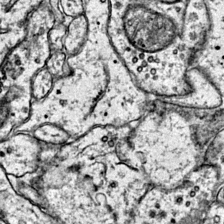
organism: Mouse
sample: Primary visual cortex